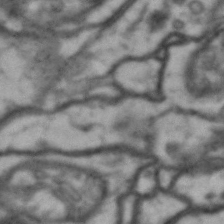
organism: Drosophila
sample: Brain